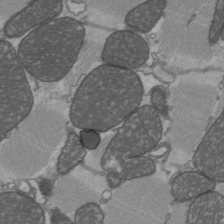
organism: C57BL Mouse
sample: Heart